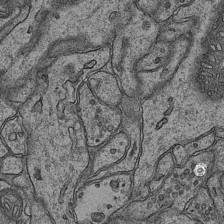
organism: Mouse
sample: CA1 Hippocampus